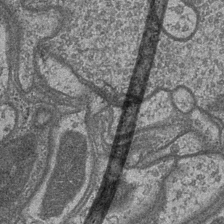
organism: Drosophila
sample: Optic medulla